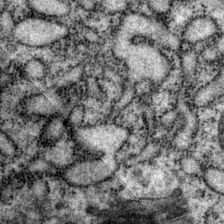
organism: P. pacificus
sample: Pharynx